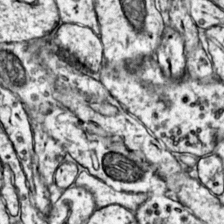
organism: Mouse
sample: Primary visual cortex